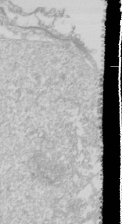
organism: Drosophila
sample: Cell division; meiosis; drosophila spermatocytes